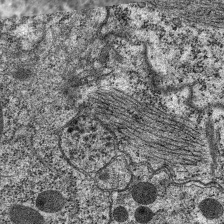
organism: C. elegans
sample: Pharynx